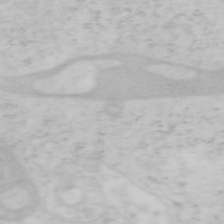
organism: Mouse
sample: OT-I killer T cells with ID8 ovarian cancer cells